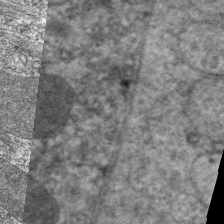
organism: C. elegans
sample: Pharynx